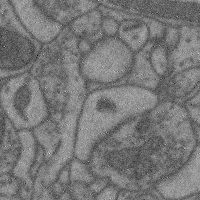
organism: Mouse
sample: Cerebral cortex